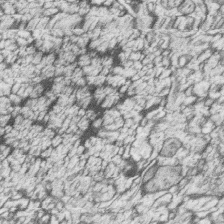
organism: Zebrafish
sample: synaptic ribbons in rod cells and cone cells